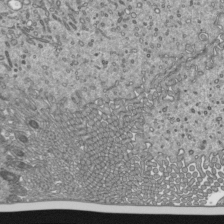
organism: Mouse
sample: Mouse epididymis efferent ductule cilia